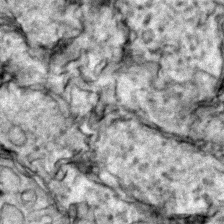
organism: Zebrafish